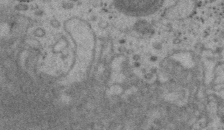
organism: Human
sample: HeLa cells